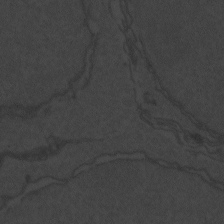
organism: Zebrafish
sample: Macrophage infected with Toxoplasma gondii